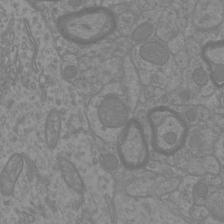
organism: Mouse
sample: Cortical neurons